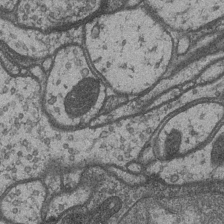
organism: Drosophila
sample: Optic medulla